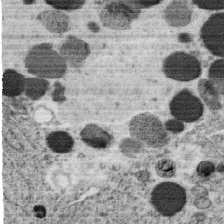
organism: C. elegans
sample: C. elegans oocyte; sperm cells